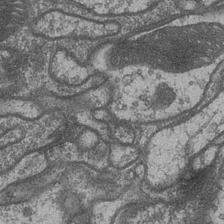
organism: Drosophila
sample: Optic medulla